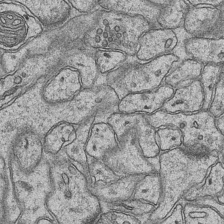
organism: Mouse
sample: CA1 Hippocampus